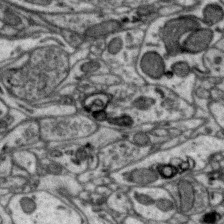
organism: Zebra finch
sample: Brain